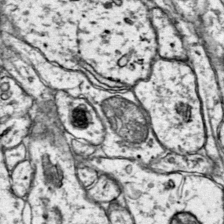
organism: Mouse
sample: Primary visual cortex